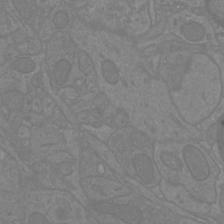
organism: Mouse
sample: Cortical neurons